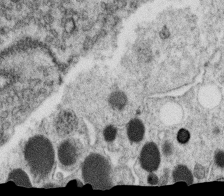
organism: C. elegans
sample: C. elegans oocyte; sperm cells